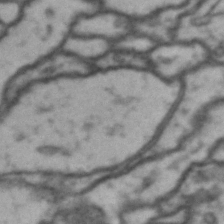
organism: Drosophila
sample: Brain